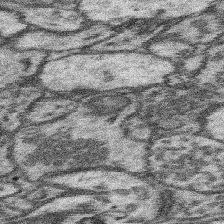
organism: Mouse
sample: Somatosensory cortex neuropil